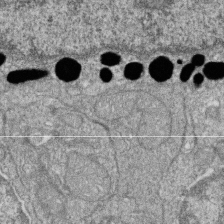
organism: Zebrafish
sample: Cilia; retinal pigment epithelium